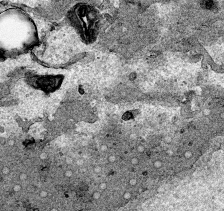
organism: Human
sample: Mitochondria in HCT116 cells